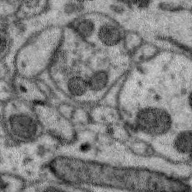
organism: Zebra finch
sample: Brain